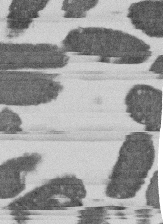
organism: E. coli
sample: Bacterial nucleoid